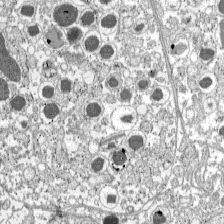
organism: C57BL Mouse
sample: Pancreatic islet